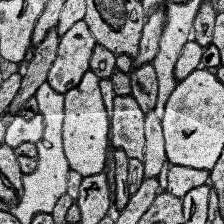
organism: Human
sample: Temporal Lobe